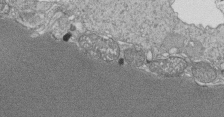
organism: Tetrahymena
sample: Cilia in tetrahymena